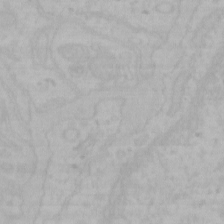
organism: Mouse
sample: Choroid plexus